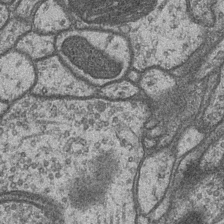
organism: Drosophila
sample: Optic medulla